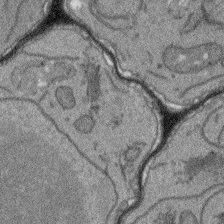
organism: Arabidopsis thaliana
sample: Root tip